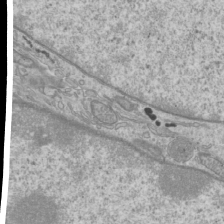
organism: Mouse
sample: Cilia; mouse epididymis